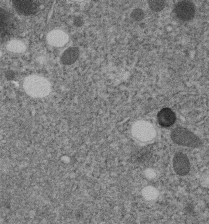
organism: C. elegans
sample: C. elegans embryo early stage